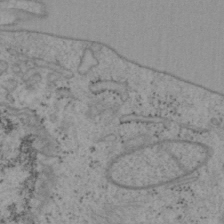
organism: Human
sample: HeLa cells